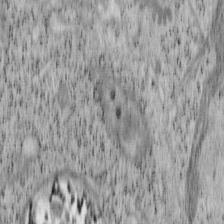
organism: Human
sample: HeLa cells